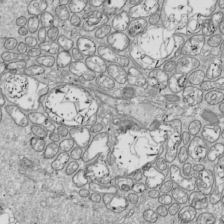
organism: Drosophila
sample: Cell division; meiosis; drosophila spermatocytes